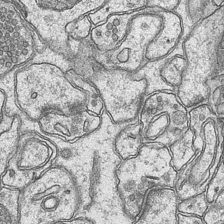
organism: Mouse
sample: CA1 Hippocampus